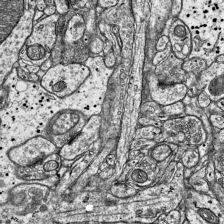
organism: Mouse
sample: Visual Cortex